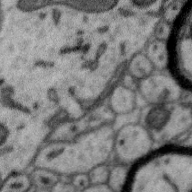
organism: Zebra finch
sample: Brain